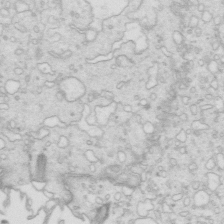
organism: Mouse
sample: Multiciliated cells